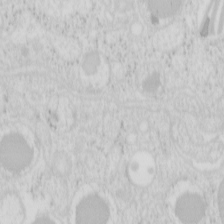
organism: Mouse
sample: Pancreas